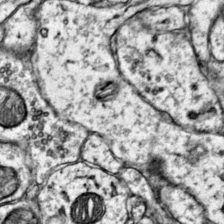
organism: Mouse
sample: Primary visual cortex